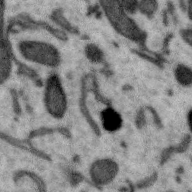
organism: Zebra finch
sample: Brain